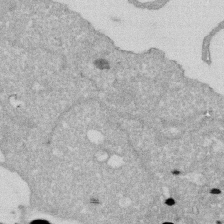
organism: Human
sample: HIV infected U937 cells